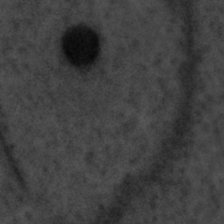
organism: Tuwongella immobilis